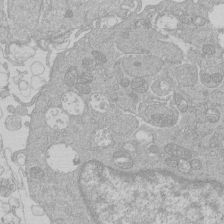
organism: Human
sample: Macrophage cells